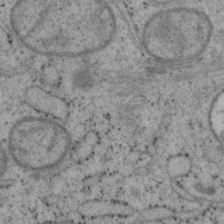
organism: Human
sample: HeLa cells